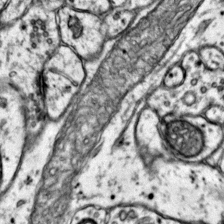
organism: Mouse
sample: Primary visual cortex